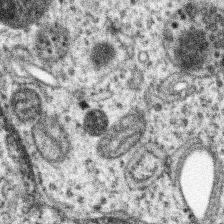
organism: Human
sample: HeLa cells